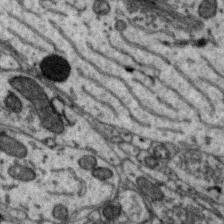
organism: Zebra finch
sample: Brain